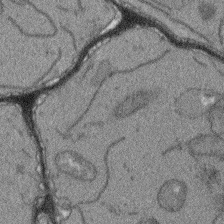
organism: Arabidopsis thaliana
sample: Root tip